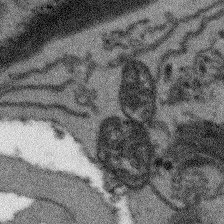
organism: Arabidopsis thaliana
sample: Root tip